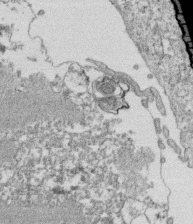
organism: Human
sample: HeLa cell HIV synapse